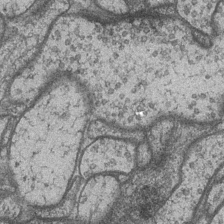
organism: Drosophila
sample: Optic medulla